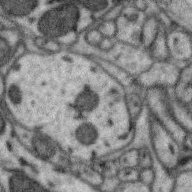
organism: Zebra finch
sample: Brain